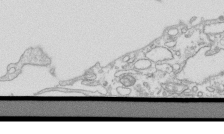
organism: Mouse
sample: Macrophages